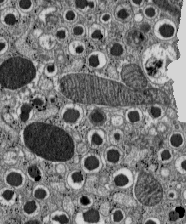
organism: C57BL Mouse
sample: Pancreatic islet